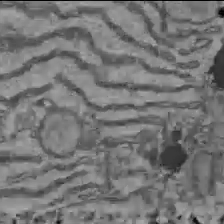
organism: C57BL Mouse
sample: Liver